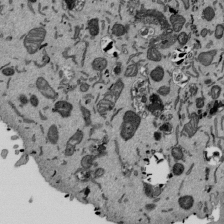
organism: Mouse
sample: ED-1 cell nuclei; centrioles